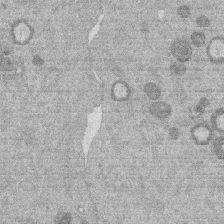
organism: Mouse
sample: Dividing mouse embryo 1 cell stage